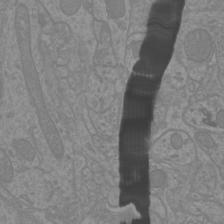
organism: Mouse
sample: Cortical neurons